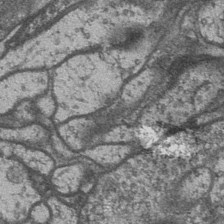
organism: Drosophila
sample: Optic medulla